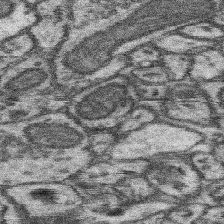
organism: Mouse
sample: Somatosensory cortex neuropil